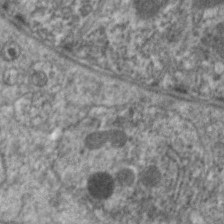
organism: C. elegans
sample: Pharynx